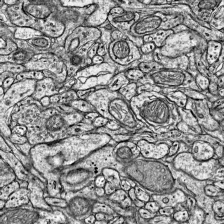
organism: Mouse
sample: Visual Cortex